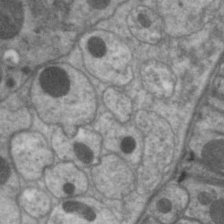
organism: C. elegans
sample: Pharynx